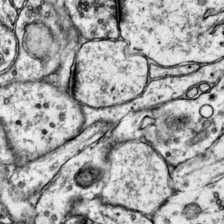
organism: Mouse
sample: Primary visual cortex